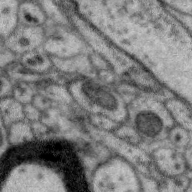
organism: Zebra finch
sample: Brain